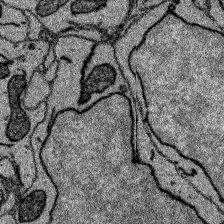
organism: Zebrafish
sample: Larval olfactory bulb